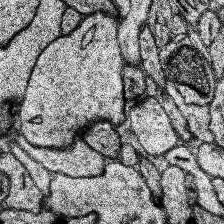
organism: Human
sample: Temporal Lobe